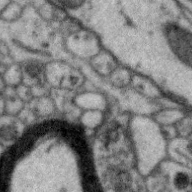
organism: Zebra finch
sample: Brain